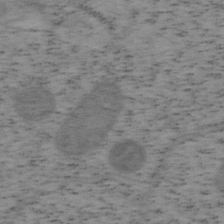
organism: Mouse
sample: OT-I killer T cells with ID8 ovarian cancer cells